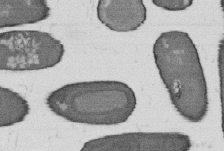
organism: B. subtilis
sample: Bacterial spore